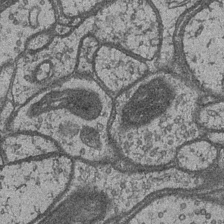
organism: Drosophila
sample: Optic medulla